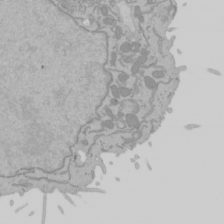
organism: Mouse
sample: Cancer cell death in ED-1 cells